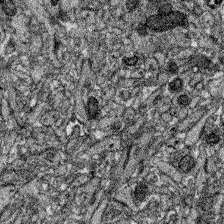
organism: Zebrafish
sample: Larval olfactory bulb